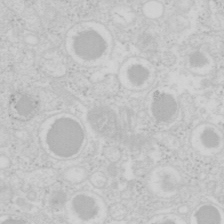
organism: Mouse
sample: Pancreas